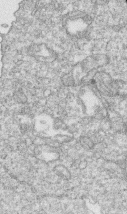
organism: Human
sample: HeLa cell HIV synapse